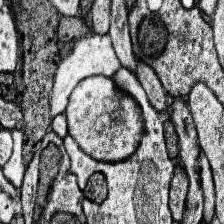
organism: Human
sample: Temporal Lobe